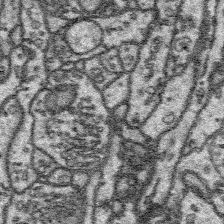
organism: Platynereis dumerilii